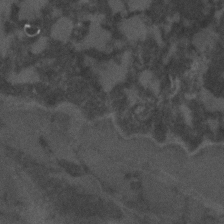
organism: C. elegans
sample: C. elegans embryo